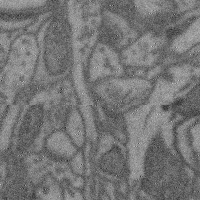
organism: Mouse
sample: Cerebral cortex